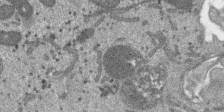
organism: Human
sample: Lung epithelial cells infected with SARS-CoV-2